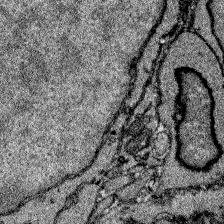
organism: Zebrafish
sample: Larval olfactory bulb